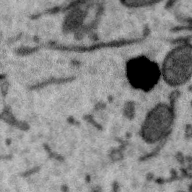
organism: Zebra finch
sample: Brain